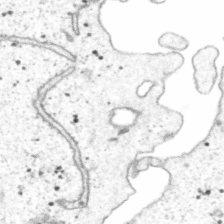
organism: Human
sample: HeLa cells